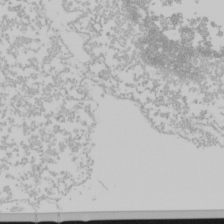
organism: Mouse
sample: Cancer cell death in ED-1 cells